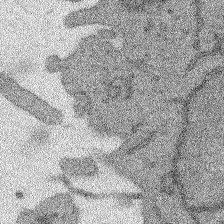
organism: Human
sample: HeLa cells